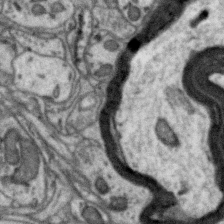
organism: Zebra finch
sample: Brain